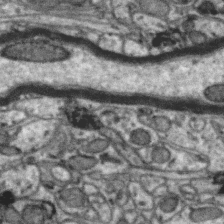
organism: Zebra finch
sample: Brain